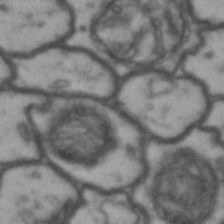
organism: Drosophila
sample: Brain